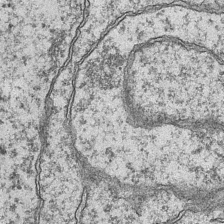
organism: Mouse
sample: CA1 Hippocampus